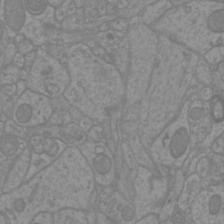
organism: Mouse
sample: Cortical neurons